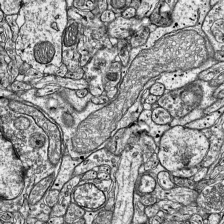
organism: Mouse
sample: Visual Cortex